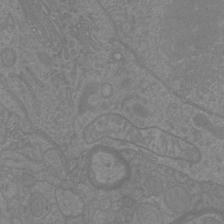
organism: Mouse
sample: Cortical neurons